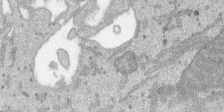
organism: Human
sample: Lung epithelial cells infected with SARS-CoV-2